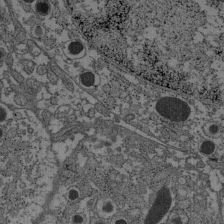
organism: C57BL Mouse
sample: Pancreatic islet